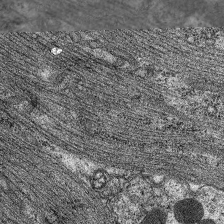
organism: C. elegans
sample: Pharynx